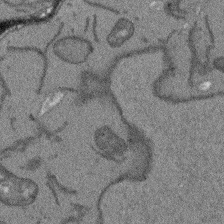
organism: Arabidopsis thaliana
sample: Root tip